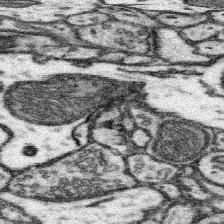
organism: Mouse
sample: Somatosensory cortex neuropil